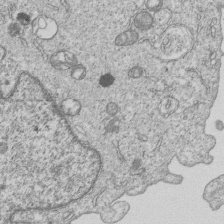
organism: Human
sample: MDA-MB-231 cells